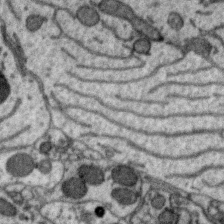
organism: Zebra finch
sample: Brain